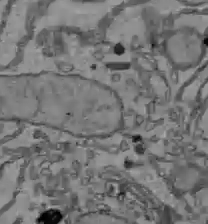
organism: C57BL Mouse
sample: Liver